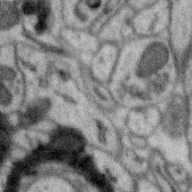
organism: Zebra finch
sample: Brain